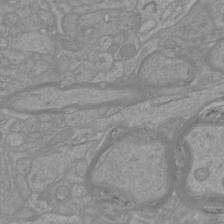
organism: Mouse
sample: Cortical neurons